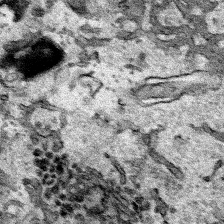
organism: Human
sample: Mitochondria in HCT116 cells